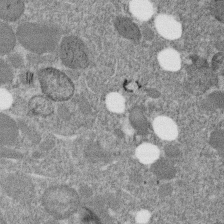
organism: C. elegans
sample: C. elegans embryo early stage